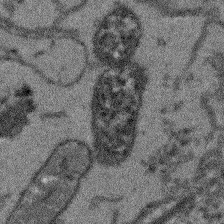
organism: Arabidopsis thaliana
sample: Root tip